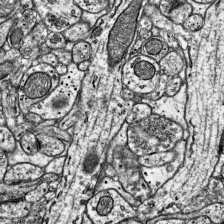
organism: Mouse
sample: Visual Cortex